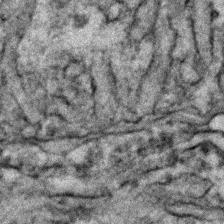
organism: Zebrafish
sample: Zebrafish embryo